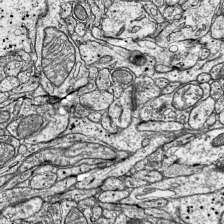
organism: Mouse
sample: Visual Cortex